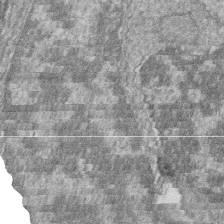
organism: Zebrafish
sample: Cilia; retinal pigment epithelium